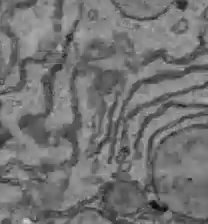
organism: C57BL Mouse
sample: Liver